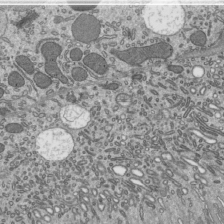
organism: Mouse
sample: Mouse epididymis efferent ductule cilia